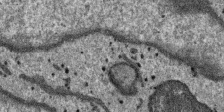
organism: Human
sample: Lung epithelial cells, uninfected (mock) control